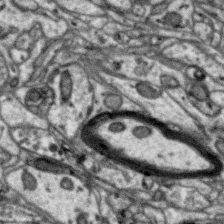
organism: Zebra finch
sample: Brain